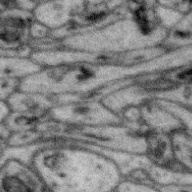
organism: Zebra finch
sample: Brain